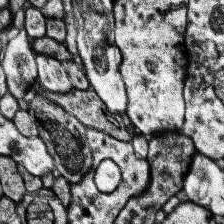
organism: Human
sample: Temporal Lobe